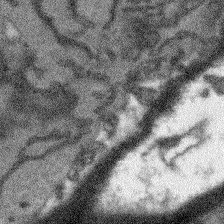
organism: Arabidopsis thaliana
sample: Root tip